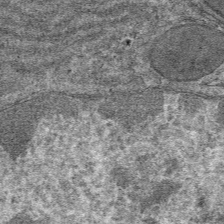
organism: Mouse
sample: Mouse hepatocytes